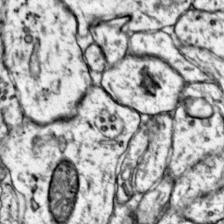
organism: Mouse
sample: Primary visual cortex